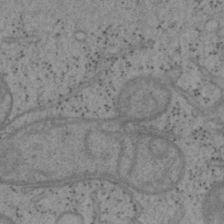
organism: Human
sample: HeLa cells